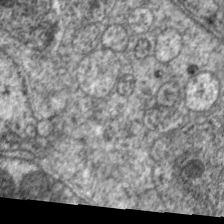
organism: C. elegans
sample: Pharynx